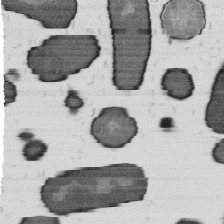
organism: B. subtilis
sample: Bacterial spore